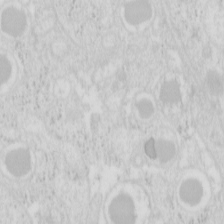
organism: Mouse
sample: Pancreas